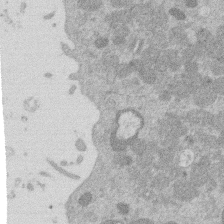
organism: Mouse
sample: Dividing mouse embryo 1 cell stage